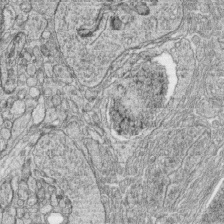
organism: Zebrafish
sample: synaptic ribbons in rod cells and cone cells